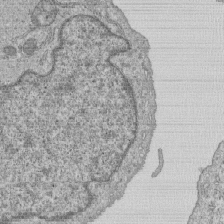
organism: Human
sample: MDA-MB-231 cells